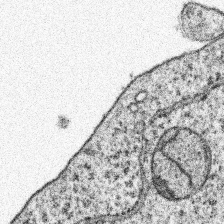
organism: Human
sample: HeLa cells